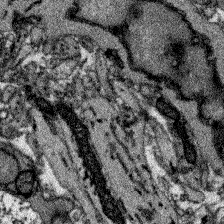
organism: Zebrafish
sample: Larval olfactory bulb